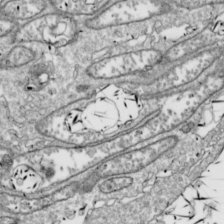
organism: Drosophila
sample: Cell division; meiosis; drosophila spermatocytes